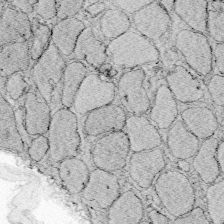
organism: Zebrafish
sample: Whole-Brain